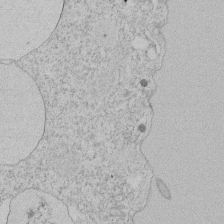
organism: Tetrahymena